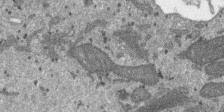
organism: Human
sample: Lung epithelial cells infected with SARS-CoV-2